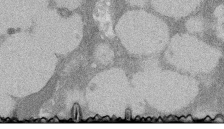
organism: Rat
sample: Salivary granule